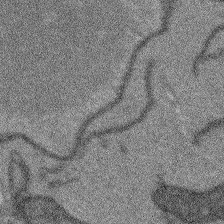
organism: Arabidopsis thaliana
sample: Root tip